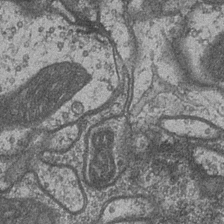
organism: Drosophila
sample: Optic medulla